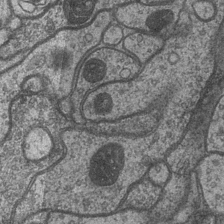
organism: Drosophila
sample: Optic medulla